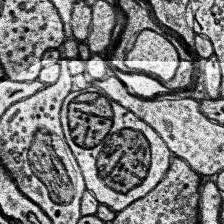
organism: Human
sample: Temporal Lobe